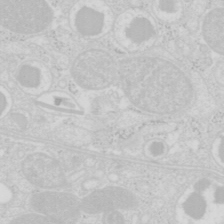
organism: Mouse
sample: Pancreas